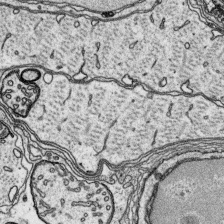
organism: Platynereis dumerilii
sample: Parapodia